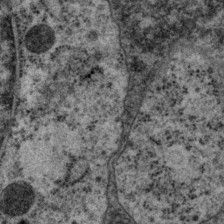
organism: P. pacificus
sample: Pharynx